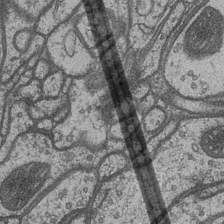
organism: Drosophila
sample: Optic medulla